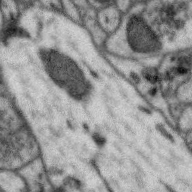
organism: Zebra finch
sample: Brain